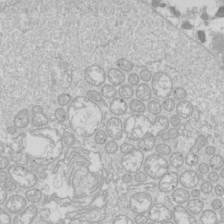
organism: Drosophila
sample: Cell division; meiosis; drosophila spermatocytes